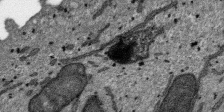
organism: Human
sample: Lung epithelial cells, uninfected (mock) control